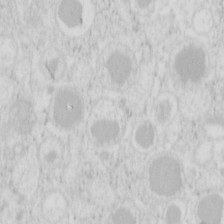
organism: Mouse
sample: Pancreas